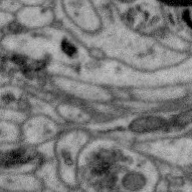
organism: Zebra finch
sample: Brain